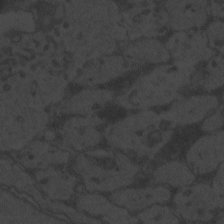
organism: Zebrafish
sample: Macrophage infected with Toxoplasma gondii